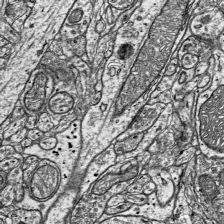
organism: Mouse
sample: Visual Cortex